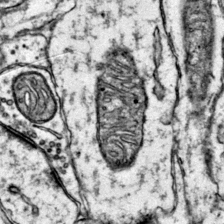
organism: Mouse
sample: Primary visual cortex